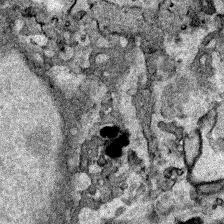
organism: Human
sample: Mitochondria in HCT116 cells